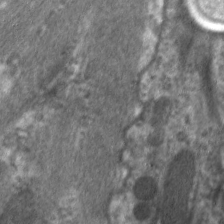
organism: C. elegans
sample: Pharynx